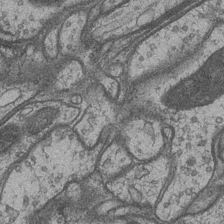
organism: Drosophila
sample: Optic medulla